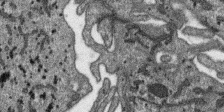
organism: Human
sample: Lung epithelial cells infected with SARS-CoV-2